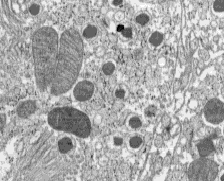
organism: C57BL Mouse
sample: Pancreatic islet